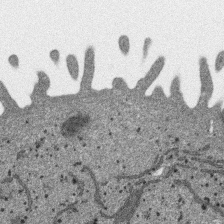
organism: Human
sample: Lung epithelial cells infected with SARS-CoV-2